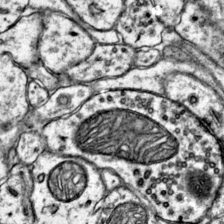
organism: Mouse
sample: Primary visual cortex